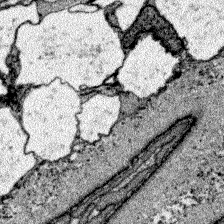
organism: Zebrafish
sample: Larval olfactory bulb